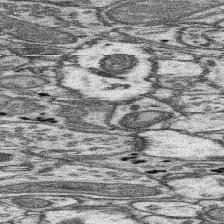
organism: Mouse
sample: Somatosensory cortex neuropil